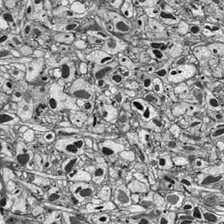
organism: Drosophila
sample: Optic lobe